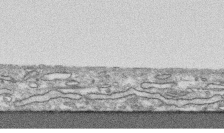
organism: Human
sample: CRL-1474